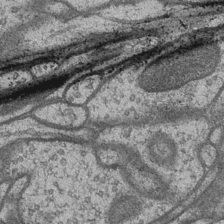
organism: Drosophila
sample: Optic medulla